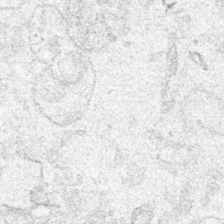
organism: Human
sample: Mitochondria in HCT116 cells